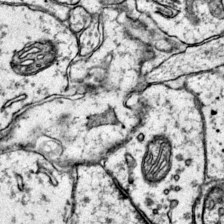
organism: Mouse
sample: Primary visual cortex